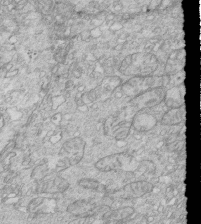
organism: Mouse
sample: Multiciliated cells